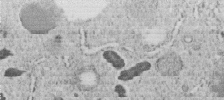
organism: C. elegans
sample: C. elegans embryo early stage